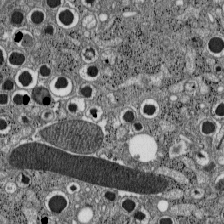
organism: C57BL Mouse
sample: Pancreatic islet